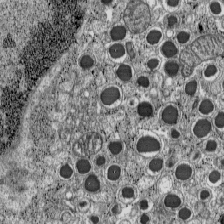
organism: C57BL Mouse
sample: Pancreatic islet